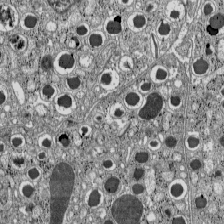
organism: C57BL Mouse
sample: Pancreatic islet